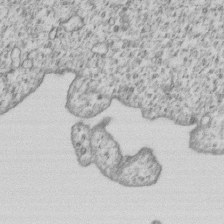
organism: Human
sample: MDA-MB-231 cells